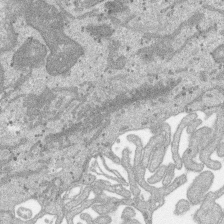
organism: Human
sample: Lung epithelial cells infected with SARS-CoV-2